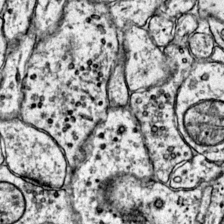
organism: Mouse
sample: Primary visual cortex